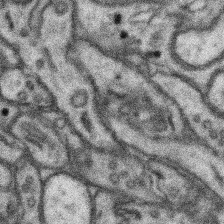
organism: Mouse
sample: Somatosensory cortex neuropil